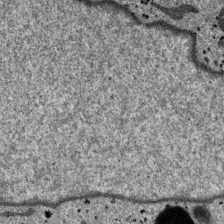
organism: Human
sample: Lung epithelial cells, uninfected (mock) control